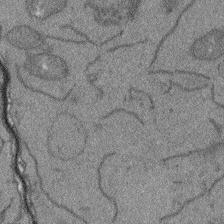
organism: Arabidopsis thaliana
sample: Root tip